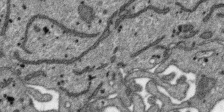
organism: Human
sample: Lung epithelial cells, uninfected (mock) control